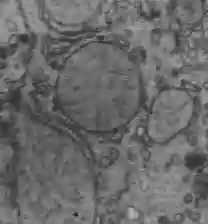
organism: C57BL Mouse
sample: Liver